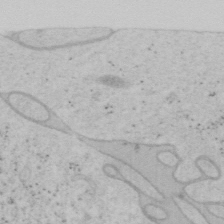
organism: Human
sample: HeLa cells